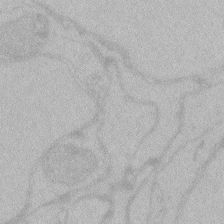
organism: Zebrafish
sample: Macrophage infected with Toxoplasma gondii